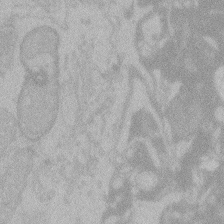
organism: Zebrafish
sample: Macrophage infected with Toxoplasma gondii